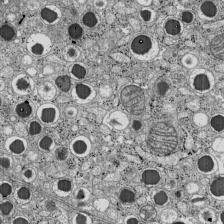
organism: C57BL Mouse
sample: Pancreatic islet